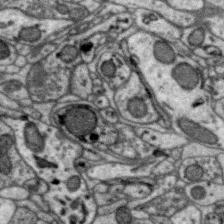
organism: Zebra finch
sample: Brain